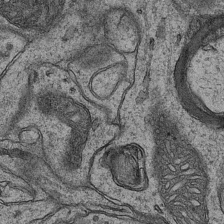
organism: Mouse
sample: CA1 Hippocampus